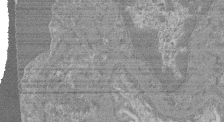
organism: Mouse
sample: Glomerulus